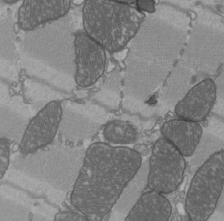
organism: C57BL Mouse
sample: Heart